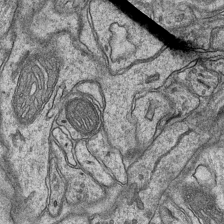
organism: Mouse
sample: CA1 Hippocampus